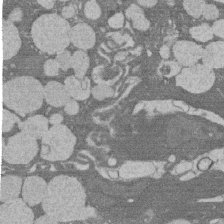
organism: Rat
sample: Salivary granule